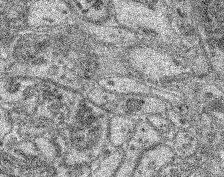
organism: Mouse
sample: Retina